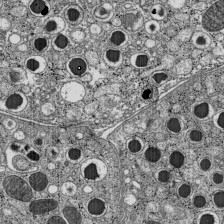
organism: C57BL Mouse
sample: Pancreatic islet